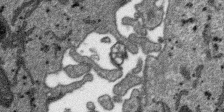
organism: Human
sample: Lung epithelial cells infected with SARS-CoV-2